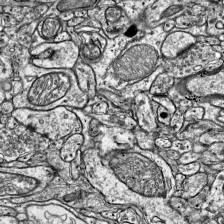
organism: Mouse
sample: Visual Cortex